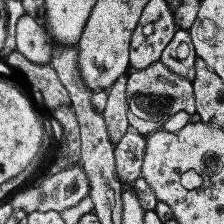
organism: Human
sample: Temporal Lobe